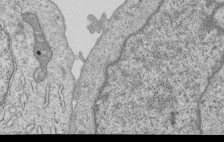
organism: Human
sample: MDA-MB-231 cells